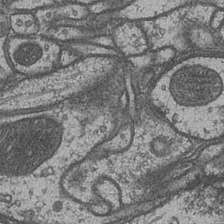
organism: Drosophila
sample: Optic medulla